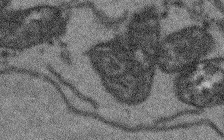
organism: Arabidopsis thaliana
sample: Root tip